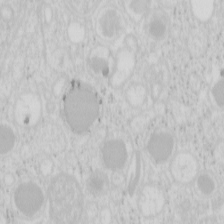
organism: Mouse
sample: Pancreas